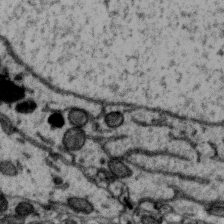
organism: Zebra finch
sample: Brain